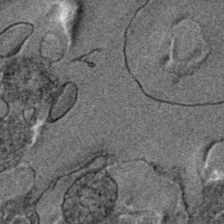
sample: Trachea